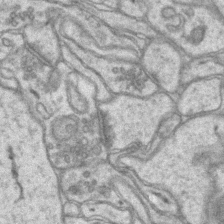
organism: Mouse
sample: CA1 Hippocampus